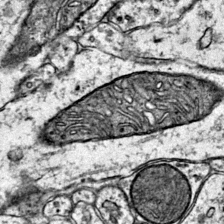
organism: Mouse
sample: Primary visual cortex